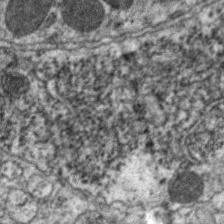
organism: C. elegans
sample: Pharynx